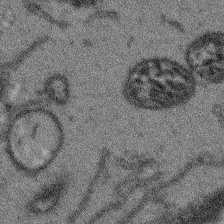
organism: Arabidopsis thaliana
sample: Root tip